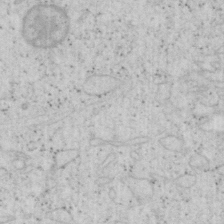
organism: Human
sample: HeLa cells